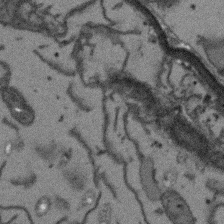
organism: Arabidopsis thaliana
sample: Root tip